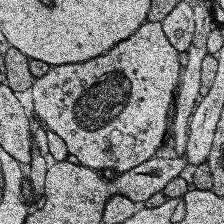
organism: Human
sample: Temporal Lobe